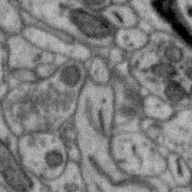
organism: Zebra finch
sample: Brain